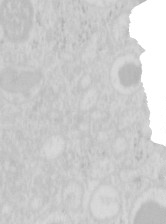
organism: Mouse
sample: Pancreas